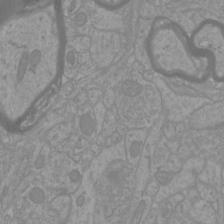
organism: Mouse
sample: Cortical neurons